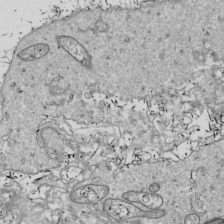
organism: Drosophila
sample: Cell division; meiosis; drosophila spermatocytes